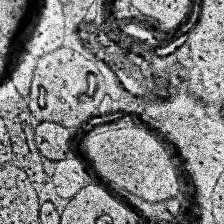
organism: Human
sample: Temporal Lobe